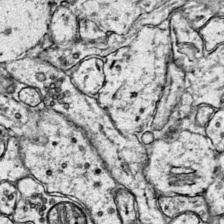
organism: Mouse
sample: Primary visual cortex